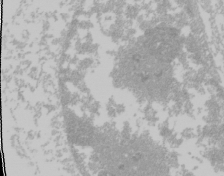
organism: Mouse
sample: Cancer cell death in ED-1 cells